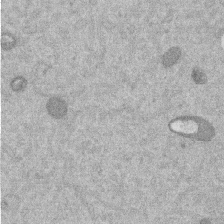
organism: Mouse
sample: Dividing mouse embryo 1 cell stage